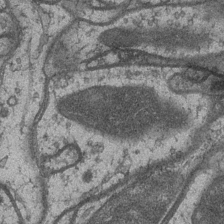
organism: Drosophila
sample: Optic medulla